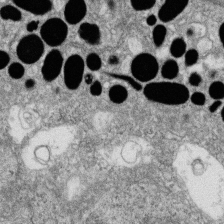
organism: Zebrafish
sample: Cilia; retinal pigment epithelium